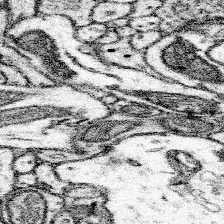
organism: Mouse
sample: Somatosensory cortex neuropil